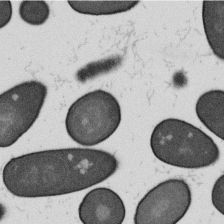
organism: B. subtilis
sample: Bacterial spore